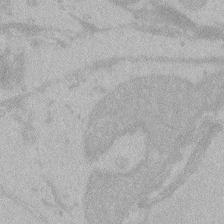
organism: Zebrafish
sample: Macrophage infected with Toxoplasma gondii